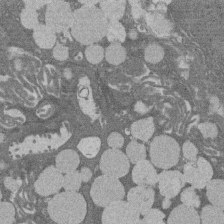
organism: Rat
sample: Salivary granule